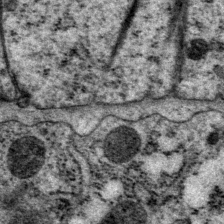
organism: P. pacificus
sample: Pharynx